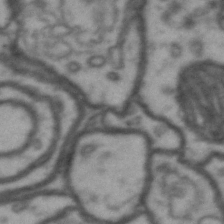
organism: Drosophila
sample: Brain